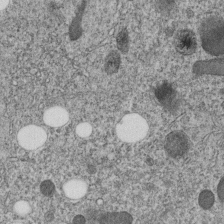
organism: C. elegans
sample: C. elegans embryo early stage